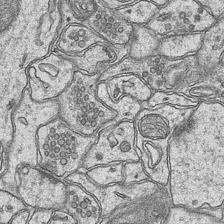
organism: Mouse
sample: CA1 Hippocampus